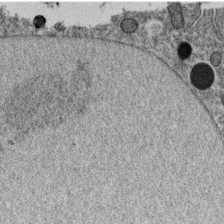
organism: C. elegans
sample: C. elegans oocyte; sperm cells